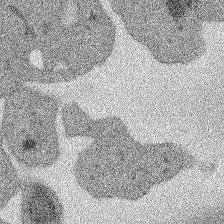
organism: Human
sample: HeLa cells